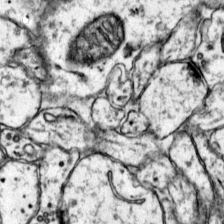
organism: Mouse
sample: Primary visual cortex